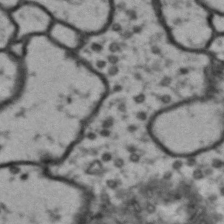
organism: Drosophila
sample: Brain